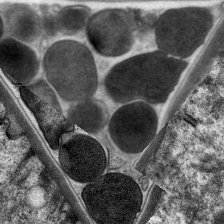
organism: C. elegans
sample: Pharynx